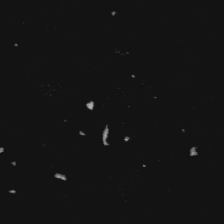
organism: Platynereis dumerilii